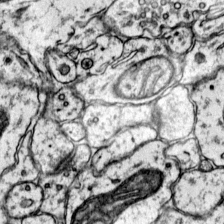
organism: Mouse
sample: Primary visual cortex